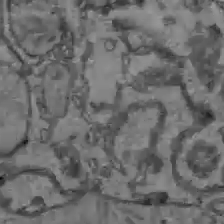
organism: C57BL Mouse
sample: Liver